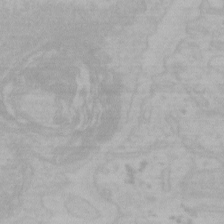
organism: Mouse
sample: Choroid plexus